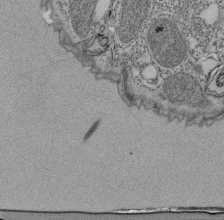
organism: Tetrahymena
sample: Cilia in tetrahymena